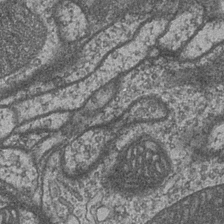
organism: Drosophila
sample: Optic medulla